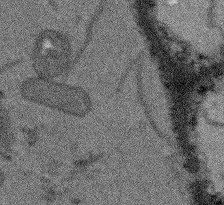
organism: Arabidopsis thaliana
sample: Root tip